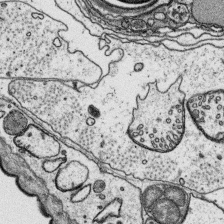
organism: Platynereis dumerilii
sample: Parapodia